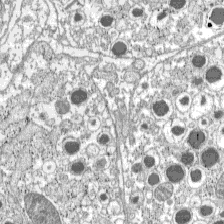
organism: C57BL Mouse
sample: Pancreatic islet